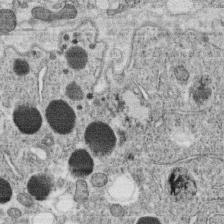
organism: C. elegans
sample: C. elegans oocyte; sperm cells